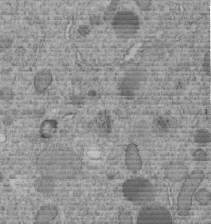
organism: C. elegans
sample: C. elegans embryo early stage